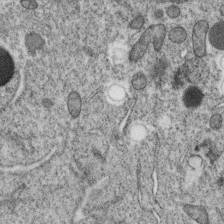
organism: C. elegans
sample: C. elegans oocyte; sperm cells